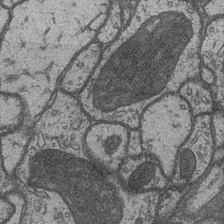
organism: Drosophila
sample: Optic medulla